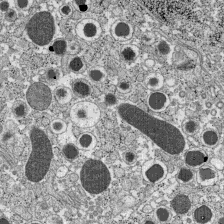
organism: C57BL Mouse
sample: Pancreatic islet